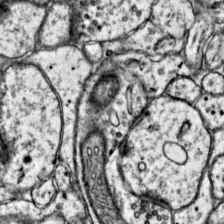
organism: Mouse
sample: Primary visual cortex